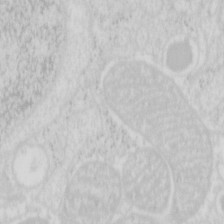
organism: Mouse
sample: Pancreas